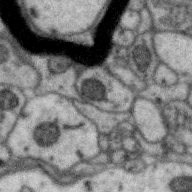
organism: Zebra finch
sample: Brain